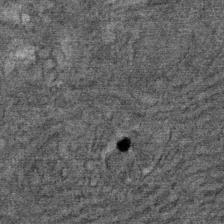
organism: Mouse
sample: Mouse Salivary gland